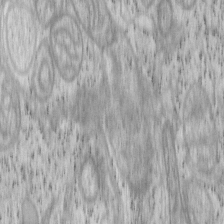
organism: Human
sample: HeLa cells